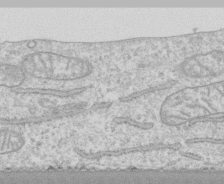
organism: Human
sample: CRL-1474